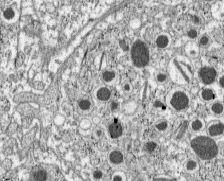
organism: C57BL Mouse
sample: Pancreatic islet